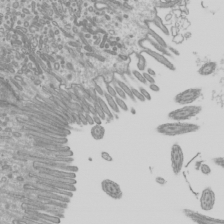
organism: Mouse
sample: Cilia; mouse epididymis